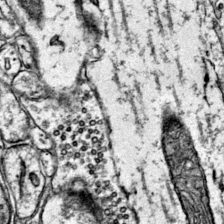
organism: Mouse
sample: Primary visual cortex